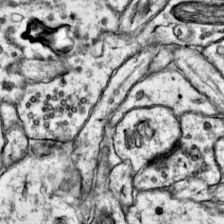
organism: Mouse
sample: Primary visual cortex